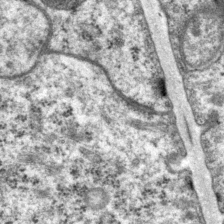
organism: P. pacificus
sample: Pharynx